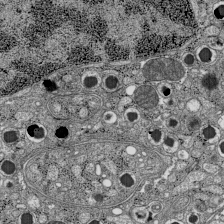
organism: C57BL Mouse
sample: Pancreatic islet